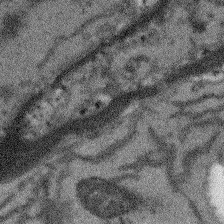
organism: Arabidopsis thaliana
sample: Root tip